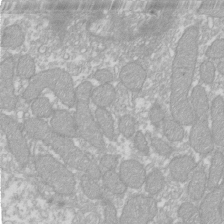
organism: Xenopus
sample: Cilia; centrioles in frog embryo cells